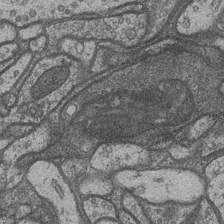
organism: Drosophila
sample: Optic medulla